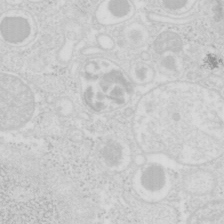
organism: Mouse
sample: Pancreas